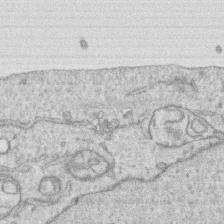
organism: Human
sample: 1205lu cells